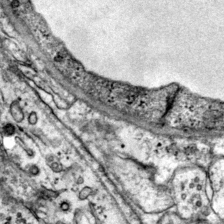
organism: Mouse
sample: Primary visual cortex